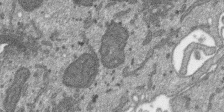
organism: Human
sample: Lung epithelial cells infected with SARS-CoV-2